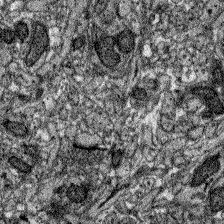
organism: Zebrafish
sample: Larval olfactory bulb